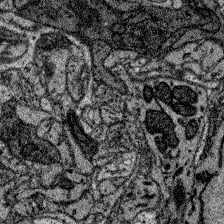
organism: Zebrafish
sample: Larval olfactory bulb